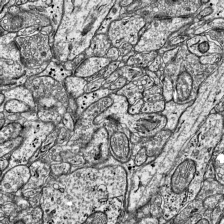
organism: Mouse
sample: Visual Cortex